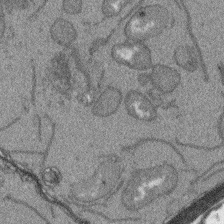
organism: Arabidopsis thaliana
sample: Root tip